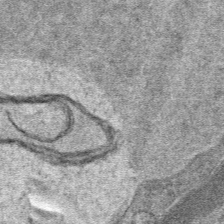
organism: Mouse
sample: Mouse hepatocytes